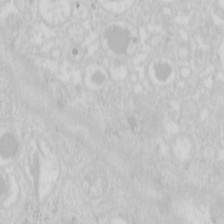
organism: Mouse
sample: Pancreas